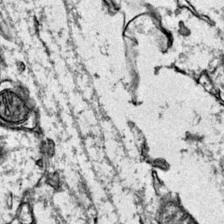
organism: Mouse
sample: Primary visual cortex